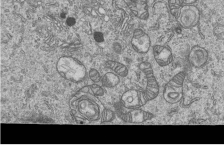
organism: Human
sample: MDA-MB-231 cells